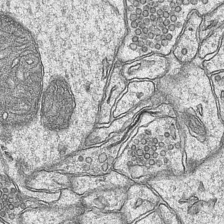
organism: Mouse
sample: CA1 Hippocampus